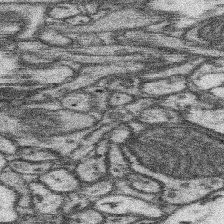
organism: Mouse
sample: Somatosensory cortex neuropil